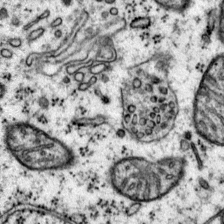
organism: Mouse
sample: Primary visual cortex